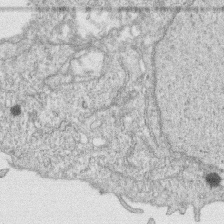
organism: Human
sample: HeLa cell HIV synapse